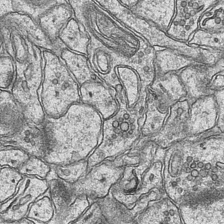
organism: Mouse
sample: CA1 Hippocampus